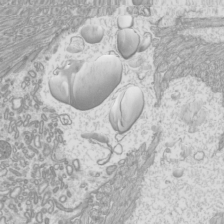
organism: Mouse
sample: Cilia; mouse epididymis